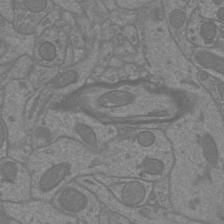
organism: Mouse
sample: Cortical neurons